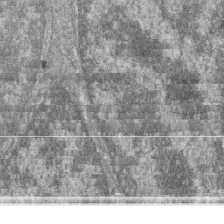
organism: Zebrafish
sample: Cilia; retinal pigment epithelium